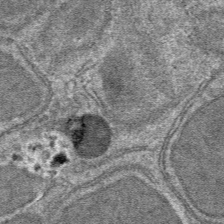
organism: Mouse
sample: Mouse hepatocytes